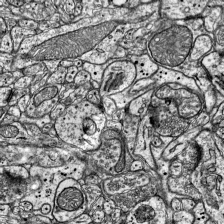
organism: Mouse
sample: Visual Cortex